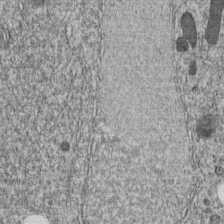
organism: C. elegans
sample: C. elegans embryo early stage